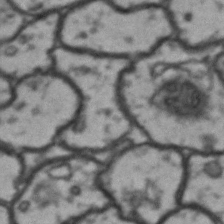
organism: Drosophila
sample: Brain